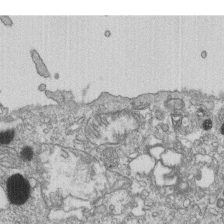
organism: Human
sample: HeLa cell HIV synapse